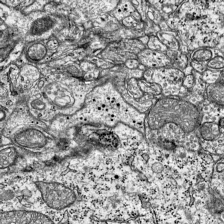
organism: Mouse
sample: Visual Cortex